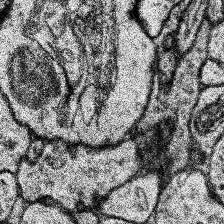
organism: Human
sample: Temporal Lobe